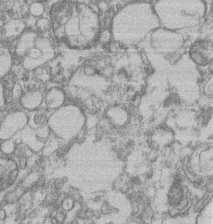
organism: Mouse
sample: T cell stromal cell synapse